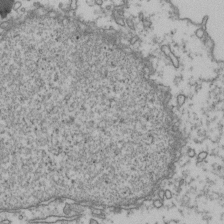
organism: Human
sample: Activated Jurkat CD4+ T cells